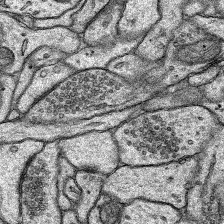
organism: Rat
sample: Hippocampus